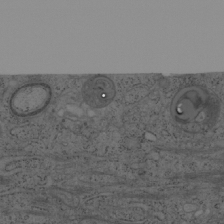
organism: Human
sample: HeLa cells